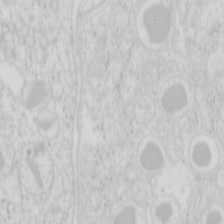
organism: Mouse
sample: Pancreas